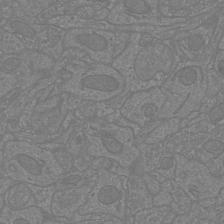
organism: Mouse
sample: Cortical neurons